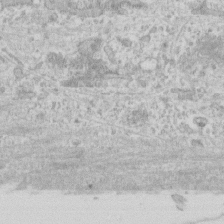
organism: Human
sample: Fibroblast cells